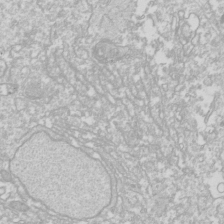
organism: Drosophila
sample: Cell division; meiosis; drosophila spermatocytes